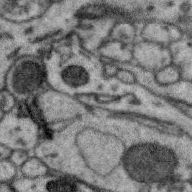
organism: Zebra finch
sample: Brain